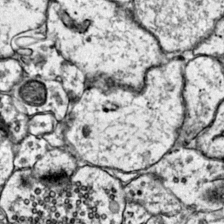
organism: Mouse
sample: Primary visual cortex